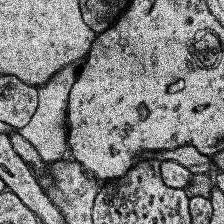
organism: Human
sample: Temporal Lobe